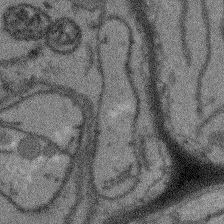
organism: Arabidopsis thaliana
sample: Root tip